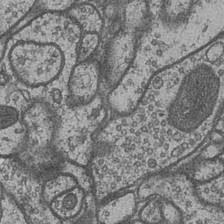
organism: Drosophila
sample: Optic medulla